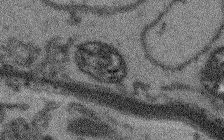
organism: Arabidopsis thaliana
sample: Root tip